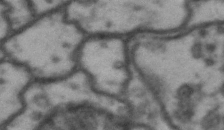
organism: Drosophila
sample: Brain